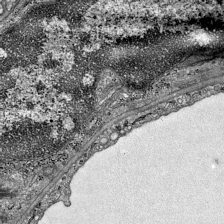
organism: Mouse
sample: Visual Cortex